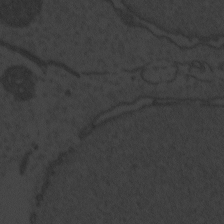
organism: Zebrafish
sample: Macrophage infected with Toxoplasma gondii